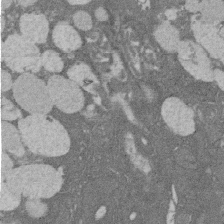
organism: Rat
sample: Salivary granule